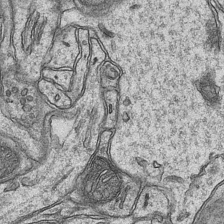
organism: Mouse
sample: CA1 Hippocampus